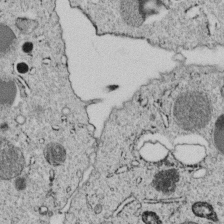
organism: C. elegans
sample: C. elegans embryo early stage